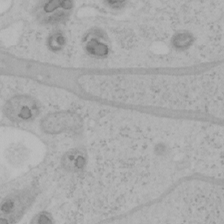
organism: Mouse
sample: OT-I killer T cells with ID8 ovarian cancer cells